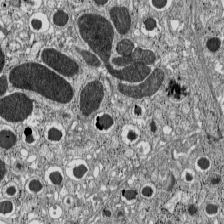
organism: C57BL Mouse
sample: Pancreatic islet